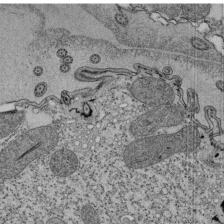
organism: Tetrahymena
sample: Cilia in tetrahymena